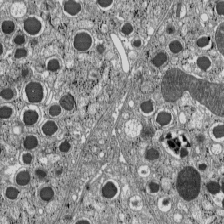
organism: C57BL Mouse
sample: Pancreatic islet